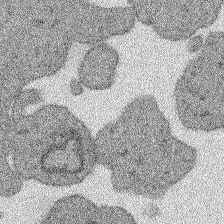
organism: Human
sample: HeLa cells